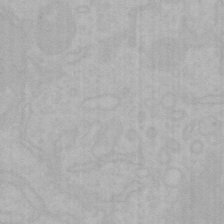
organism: Mouse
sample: Choroid plexus